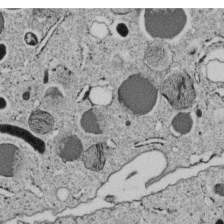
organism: C. elegans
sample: C. elegans embryo early stage